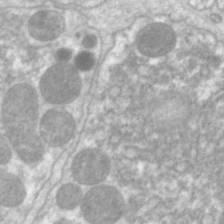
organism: C. elegans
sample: Pharynx